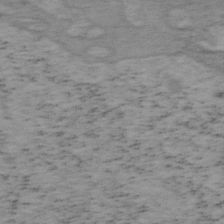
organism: Mouse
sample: OT-I killer T cells with ID8 ovarian cancer cells